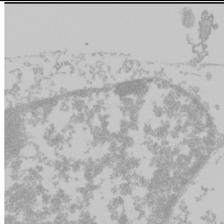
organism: Mouse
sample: Cancer cell death in ED-1 cells